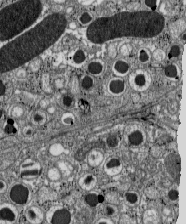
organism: C57BL Mouse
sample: Pancreatic islet